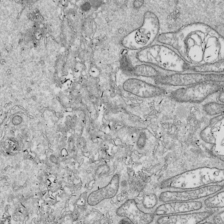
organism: Drosophila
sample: Cell division; meiosis; drosophila spermatocytes